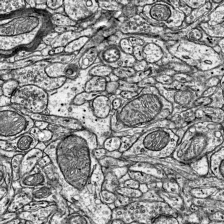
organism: Mouse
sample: Visual Cortex